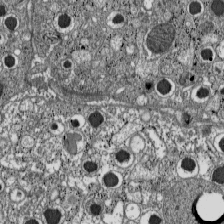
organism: C57BL Mouse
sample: Pancreatic islet